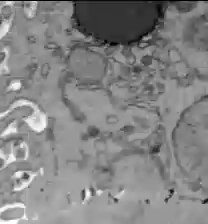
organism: C57BL Mouse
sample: Liver